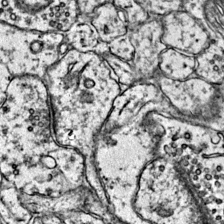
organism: Mouse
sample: Primary visual cortex